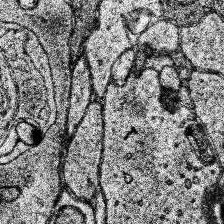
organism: Human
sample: Temporal Lobe